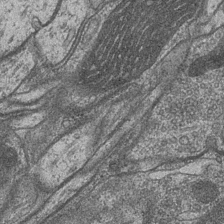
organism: Drosophila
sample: Optic medulla